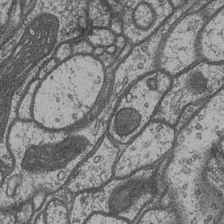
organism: Drosophila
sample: Optic medulla